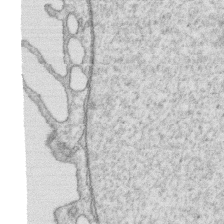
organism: Human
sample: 1205lu cells